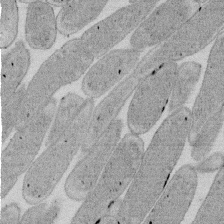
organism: E. coli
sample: Bacterial nucleoid